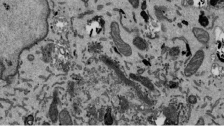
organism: Mouse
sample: ED-1 cell nuclei; centrioles